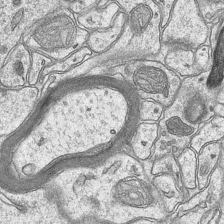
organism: Mouse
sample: CA1 Hippocampus